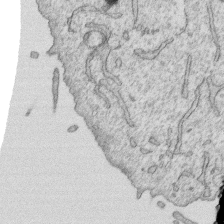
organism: Human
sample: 1205lu cells